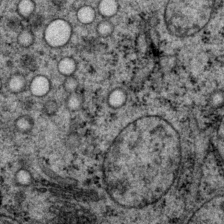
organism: P. pacificus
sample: Pharynx